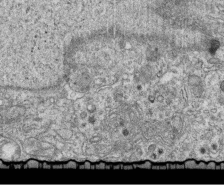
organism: Human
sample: HeLa cell HIV synapse